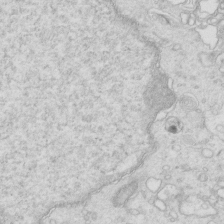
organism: Mouse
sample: Multiciliated cells